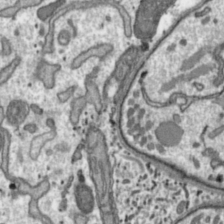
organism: Toxoplasma gondii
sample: Parasites in a vacuole inside a host cell